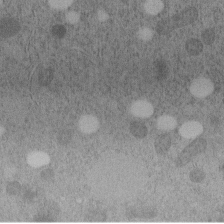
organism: C. elegans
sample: C. elegans embryo early stage